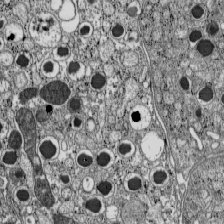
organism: C57BL Mouse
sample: Pancreatic islet